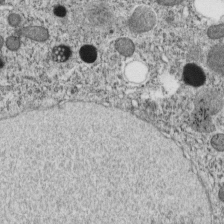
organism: C. elegans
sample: C. elegans embryo early stage